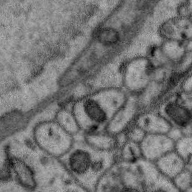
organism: Zebra finch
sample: Brain